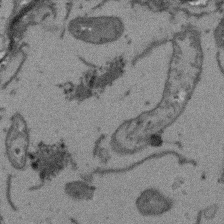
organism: Arabidopsis thaliana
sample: Root tip